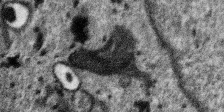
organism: Human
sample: Lung epithelial cells infected with SARS-CoV-2